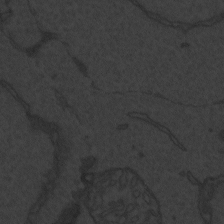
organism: Zebrafish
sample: Macrophage infected with Toxoplasma gondii